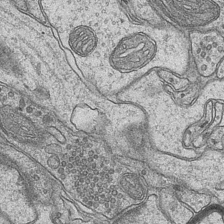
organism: Mouse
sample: CA1 Hippocampus